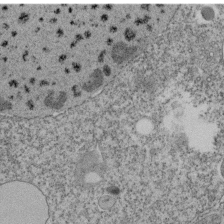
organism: Tetrahymena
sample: Cilia in tetrahymena